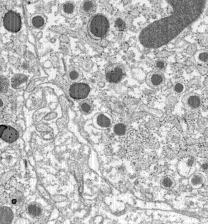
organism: C57BL Mouse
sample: Pancreatic islet